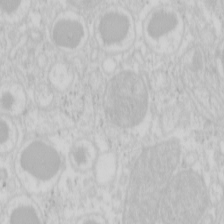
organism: Mouse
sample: Pancreas